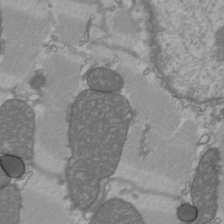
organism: C57BL Mouse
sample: Heart